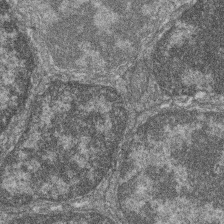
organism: Zebrafish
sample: Cilia; retinal pigment epithelium